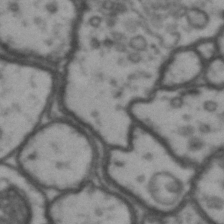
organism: Drosophila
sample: Brain